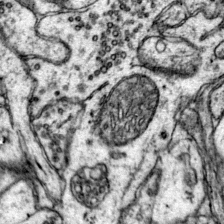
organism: Mouse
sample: Primary visual cortex